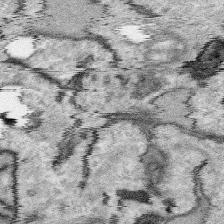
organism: Human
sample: HeLa cells